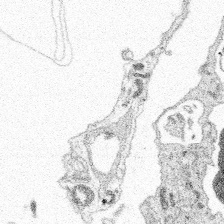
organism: Spongilla lacustris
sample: Multiple